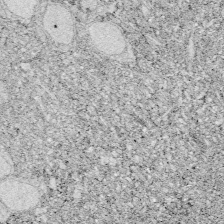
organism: Zebrafish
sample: Whole-Brain